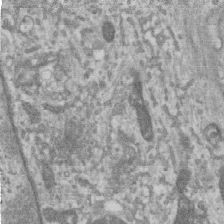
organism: Human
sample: Centriole in RPE cells